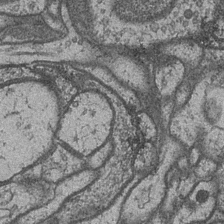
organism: Drosophila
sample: Optic medulla